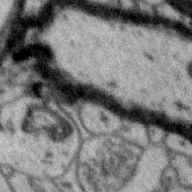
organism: Zebra finch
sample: Brain